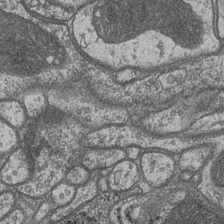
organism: Drosophila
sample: Optic medulla